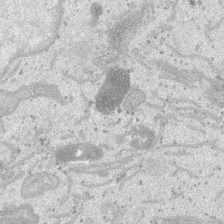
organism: Human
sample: Lung epithelial cells infected with SARS-CoV-2